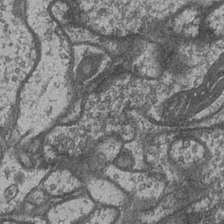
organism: Drosophila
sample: Optic medulla